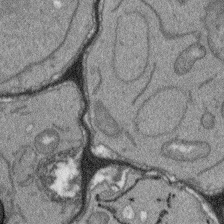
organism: Arabidopsis thaliana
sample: Root tip